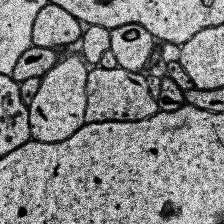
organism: Human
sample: Temporal Lobe